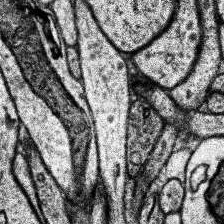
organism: Human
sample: Temporal Lobe